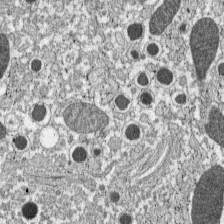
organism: C57BL Mouse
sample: Pancreatic islet